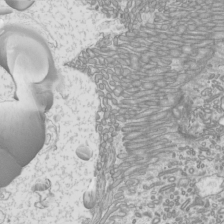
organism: Mouse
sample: Cilia; mouse epididymis